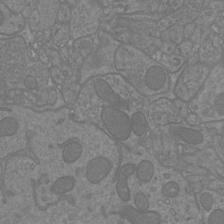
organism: Mouse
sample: Cortical neurons